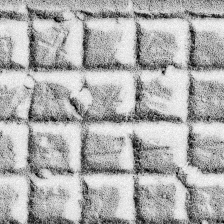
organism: Rat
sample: Hippocampus